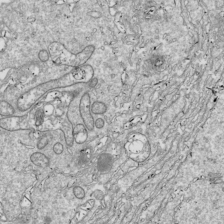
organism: Drosophila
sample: Cell division; meiosis; drosophila spermatocytes